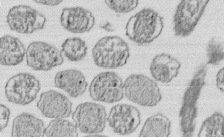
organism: E. coli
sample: Bacterial nucleoid